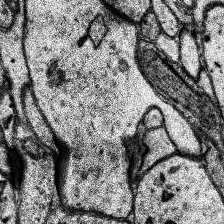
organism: Human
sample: Temporal Lobe